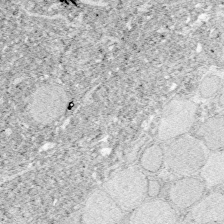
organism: Zebrafish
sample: Whole-Brain